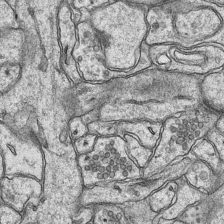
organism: Mouse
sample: CA1 Hippocampus